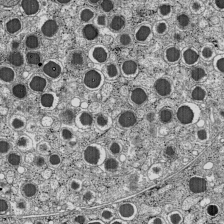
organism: C57BL Mouse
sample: Pancreatic islet